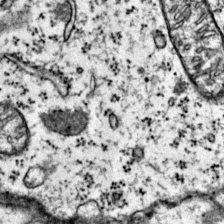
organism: Mouse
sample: Primary visual cortex